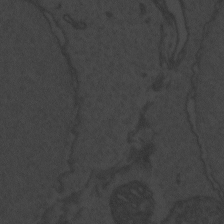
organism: Zebrafish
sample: Macrophage infected with Toxoplasma gondii